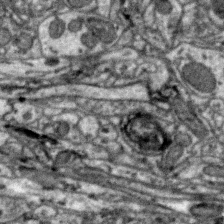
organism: Zebra finch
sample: Brain